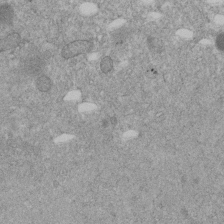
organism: C. elegans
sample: C. elegans embryo early stage